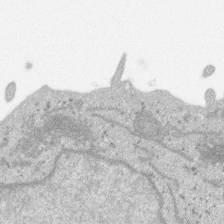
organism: Human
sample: Lung epithelial cells infected with SARS-CoV-2